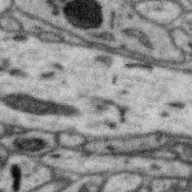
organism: Zebra finch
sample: Brain